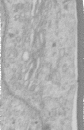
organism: Human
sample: Centriole in RPE cells